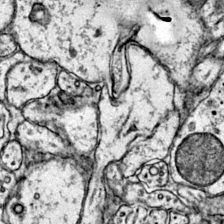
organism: Mouse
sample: Primary visual cortex